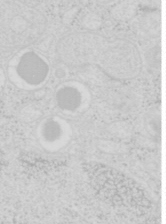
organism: Mouse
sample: Pancreas